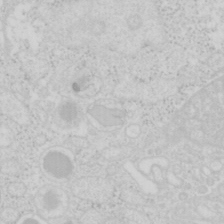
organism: Mouse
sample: Pancreas